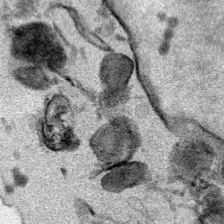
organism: Mouse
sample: Cancer cell death in ED-1 cells